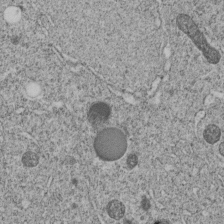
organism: C. elegans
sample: C. elegans embryo early stage